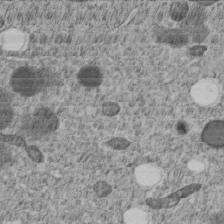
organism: C. elegans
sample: C. elegans embryo early stage